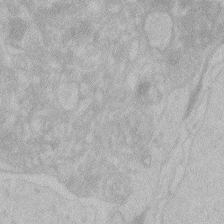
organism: Zebrafish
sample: Macrophage infected with Toxoplasma gondii